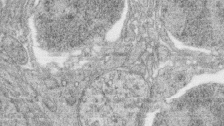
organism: Zebrafish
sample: synaptic ribbons in rod cells and cone cells